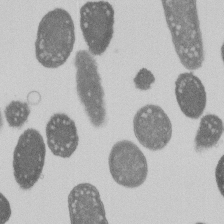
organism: E. coli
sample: Bacterial nucleoid